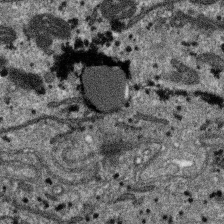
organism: Human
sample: Lung epithelial cells infected with SARS-CoV-2